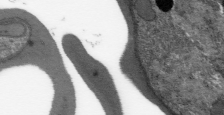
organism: Plasmodium falciparum